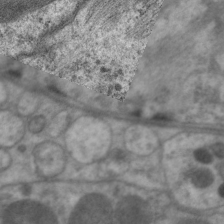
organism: C. elegans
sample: Pharynx